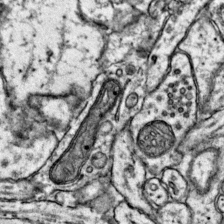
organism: Mouse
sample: Primary visual cortex